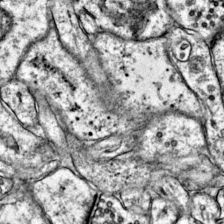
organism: Mouse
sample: Primary visual cortex